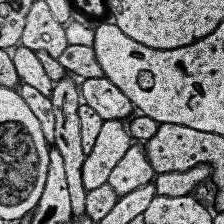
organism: Human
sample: Temporal Lobe